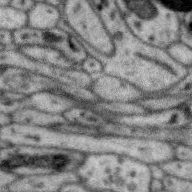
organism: Zebra finch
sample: Brain